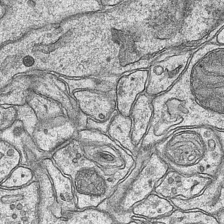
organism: Mouse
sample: CA1 Hippocampus